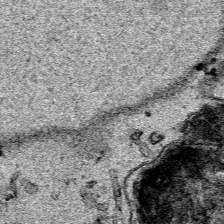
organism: Human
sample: Mitochondria in HCT116 cells